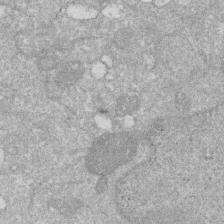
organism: Human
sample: HIV infected U937 cells